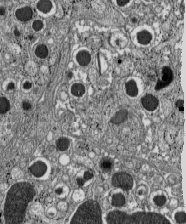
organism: C57BL Mouse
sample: Pancreatic islet